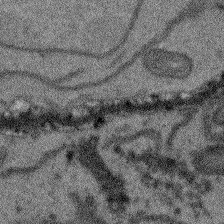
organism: Arabidopsis thaliana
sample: Root tip